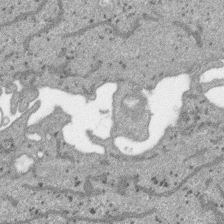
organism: Human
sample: Lung epithelial cells infected with SARS-CoV-2